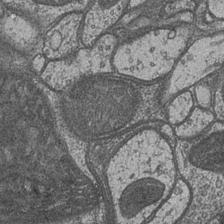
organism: Drosophila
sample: Optic medulla